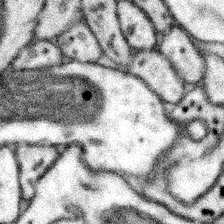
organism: Mouse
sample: Somatosensory cortex neuropil